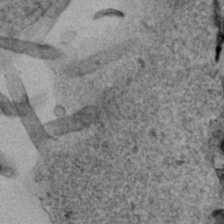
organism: Human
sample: Mitochondria in HCT116 cells